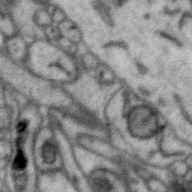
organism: Zebra finch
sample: Brain